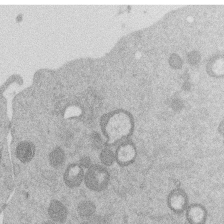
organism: Mouse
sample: Dividing mouse embryo 1 cell stage